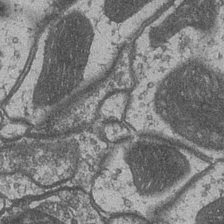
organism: Drosophila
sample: Optic medulla